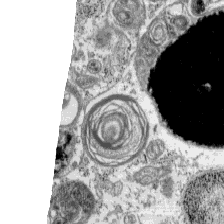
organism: C57BL Mouse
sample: Pancreatic islet